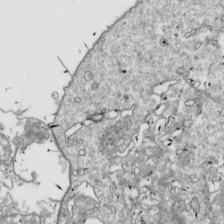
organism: Drosophila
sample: Cell division; meiosis; drosophila spermatocytes